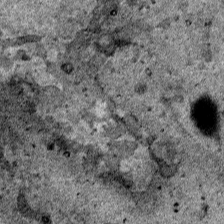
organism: Human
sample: Mitochondria in HCT116 cells